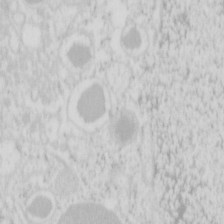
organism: Mouse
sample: Pancreas